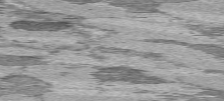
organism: C57BL Mouse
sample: Heart